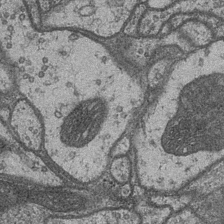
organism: Drosophila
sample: Optic medulla